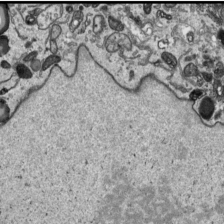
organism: Human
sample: Mitochondria in HCT116 cells